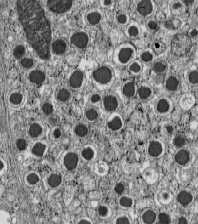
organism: C57BL Mouse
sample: Pancreatic islet